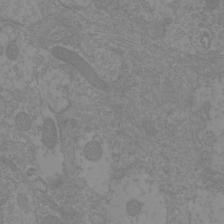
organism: Mouse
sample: Cortical neurons